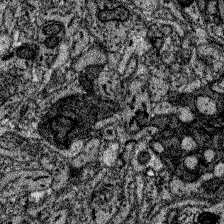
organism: Zebrafish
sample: Larval olfactory bulb